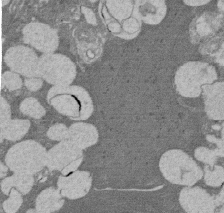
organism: Rat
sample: Salivary granule